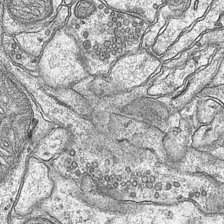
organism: Mouse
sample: CA1 Hippocampus